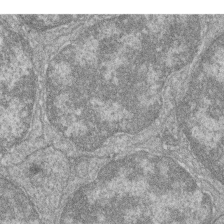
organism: Zebrafish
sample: Cilia; retinal pigment epithelium